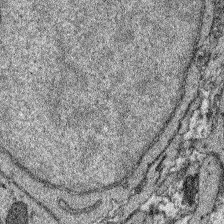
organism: Zebrafish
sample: Larval olfactory bulb